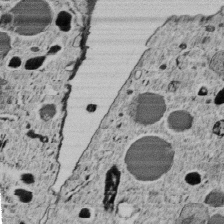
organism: C. elegans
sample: C. elegans embryo early stage